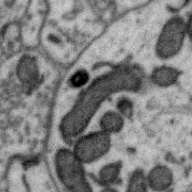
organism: Zebra finch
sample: Brain